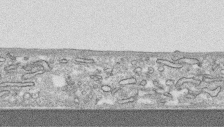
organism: Human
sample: CRL-1474